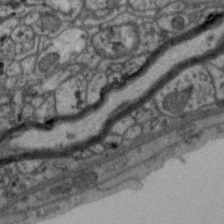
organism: Zebra finch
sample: Brain